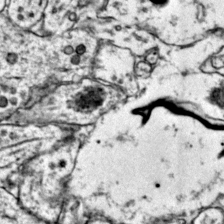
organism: Mouse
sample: Primary visual cortex